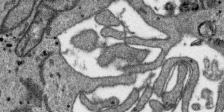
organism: Human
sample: Lung epithelial cells, uninfected (mock) control